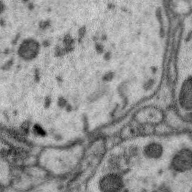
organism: Zebra finch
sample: Brain